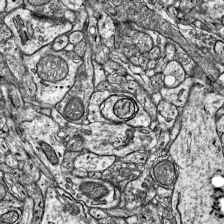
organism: Mouse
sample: Visual Cortex